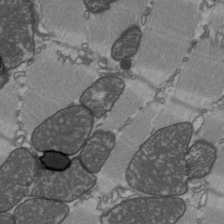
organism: C57BL Mouse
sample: Heart